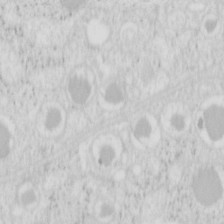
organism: Mouse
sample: Pancreas